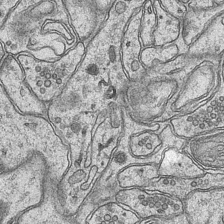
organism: Mouse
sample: CA1 Hippocampus